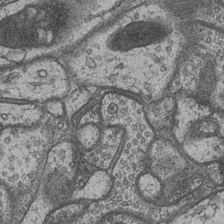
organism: Drosophila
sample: Optic medulla